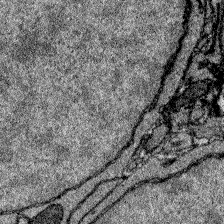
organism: Zebrafish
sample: Larval olfactory bulb